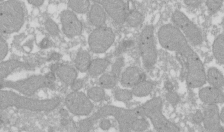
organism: Xenopus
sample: Cilia; centrioles in frog embryo cells